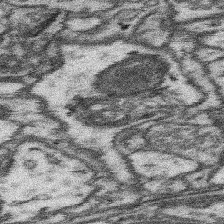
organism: Mouse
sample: Somatosensory cortex neuropil